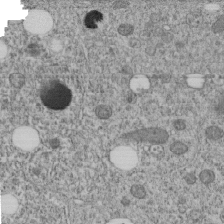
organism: C. elegans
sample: C. elegans embryo early stage